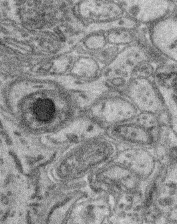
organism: Mouse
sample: Retina